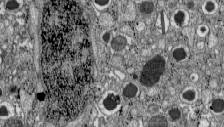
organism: C57BL Mouse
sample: Pancreatic islet